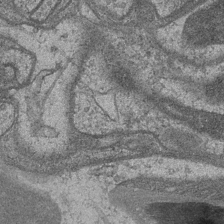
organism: Drosophila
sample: Optic medulla